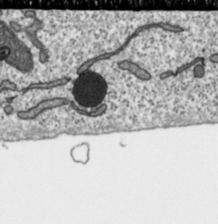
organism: Toxoplasma gondii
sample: Parasites in a vacuole inside a host cell